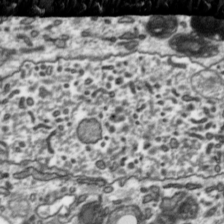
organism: Toxoplasma gondii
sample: Parasites in a vacuole inside a host cell